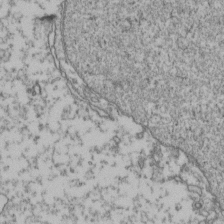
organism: Human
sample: Activated Jurkat CD4+ T cells